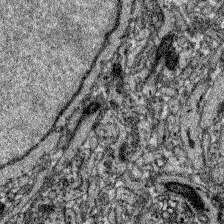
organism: Zebrafish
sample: Larval olfactory bulb